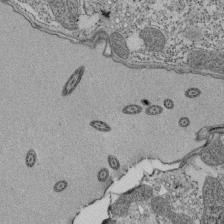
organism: Tetrahymena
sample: Cilia in tetrahymena